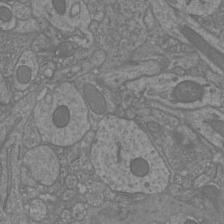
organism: Mouse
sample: Cortical neurons